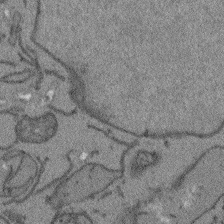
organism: Arabidopsis thaliana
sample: Root tip